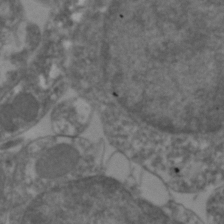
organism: Zebrafish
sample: Zebrafish embryo